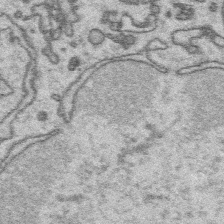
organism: Platynereis dumerilii